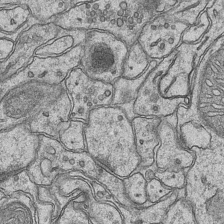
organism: Mouse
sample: CA1 Hippocampus